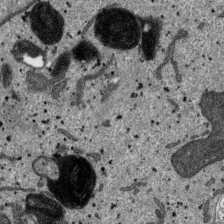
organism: Human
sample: Lung epithelial cells, uninfected (mock) control